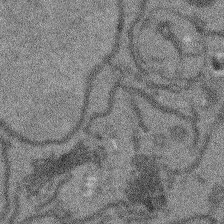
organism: Arabidopsis thaliana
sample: Root tip